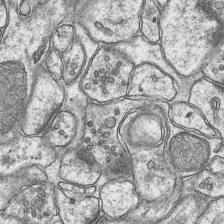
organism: Mouse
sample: CA1 Hippocampus